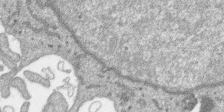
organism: Human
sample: Lung epithelial cells infected with SARS-CoV-2